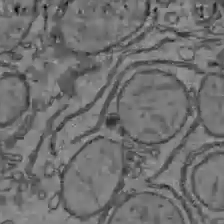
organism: C57BL Mouse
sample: Liver